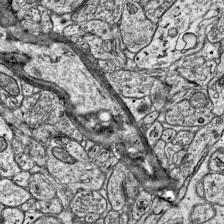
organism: Mouse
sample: Visual Cortex